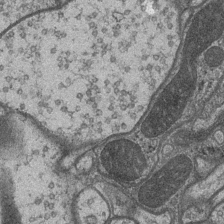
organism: Drosophila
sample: Optic medulla